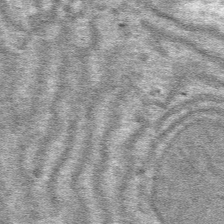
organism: Mouse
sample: Mouse hepatocytes